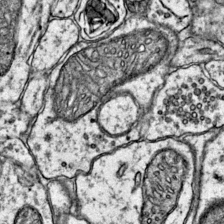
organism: Mouse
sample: Primary visual cortex